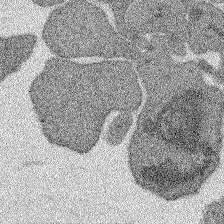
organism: Human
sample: HeLa cells